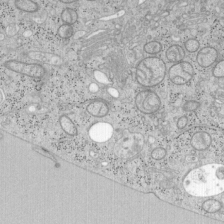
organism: Mouse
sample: OT-I killer T cells with ID8 ovarian cancer cells